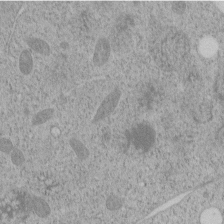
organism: C. elegans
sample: C. elegans embryo early stage